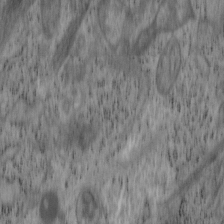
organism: Human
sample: HeLa cells